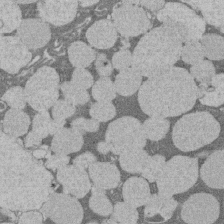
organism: Rat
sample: Salivary granule